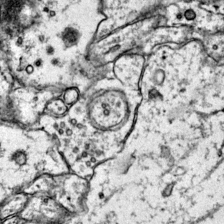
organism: Mouse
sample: Primary visual cortex